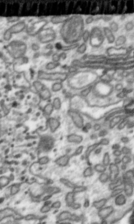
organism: Toxoplasma gondii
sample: Parasites in a vacuole inside a host cell